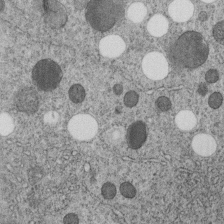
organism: C. elegans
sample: C. elegans embryo early stage